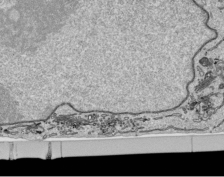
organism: Human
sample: Mitochondria in HCT116 cells